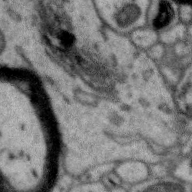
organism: Zebra finch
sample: Brain